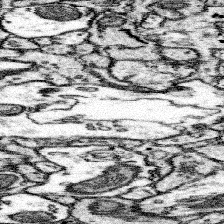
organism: Mouse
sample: Somatosensory cortex neuropil